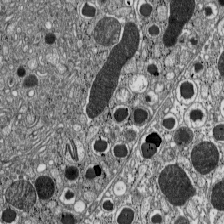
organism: C57BL Mouse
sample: Pancreatic islet